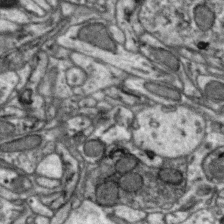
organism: Zebra finch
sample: Brain